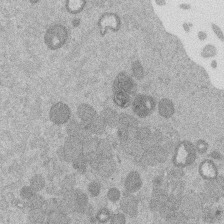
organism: Mouse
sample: Dividing mouse embryo 1 cell stage